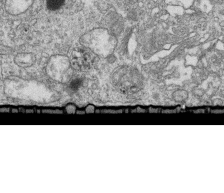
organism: Human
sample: HeLa cell HIV synapse